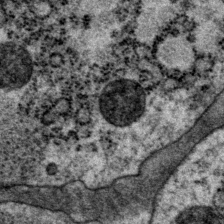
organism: P. pacificus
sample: Pharynx